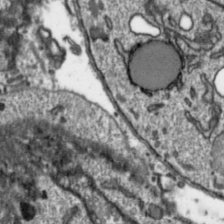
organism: Toxoplasma gondii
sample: Parasites in a vacuole inside a host cell